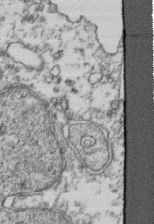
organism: Human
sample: Activated Jurkat CD4+ T cells